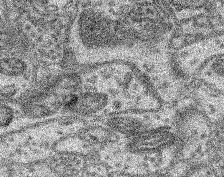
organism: Mouse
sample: Retina